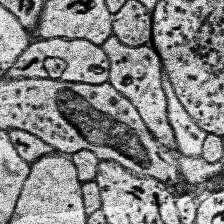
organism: Human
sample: Temporal Lobe